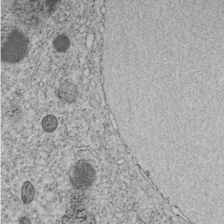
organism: C. elegans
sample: C. elegans embryo early stage